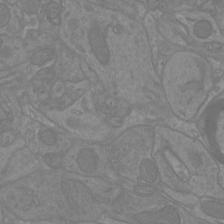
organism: Mouse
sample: Cortical neurons